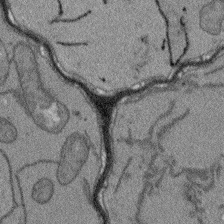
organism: Arabidopsis thaliana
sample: Root tip